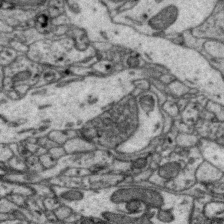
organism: Zebra finch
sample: Brain